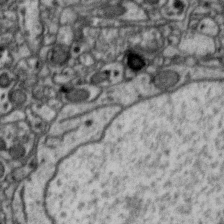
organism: Zebra finch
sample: Brain